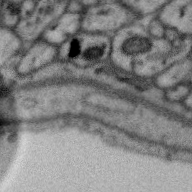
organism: Zebra finch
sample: Brain